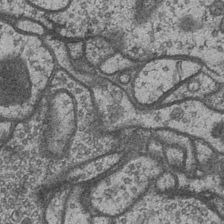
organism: Drosophila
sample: Optic medulla